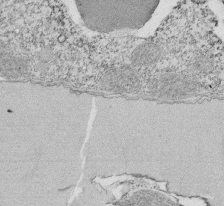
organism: Tetrahymena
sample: Cilia in tetrahymena